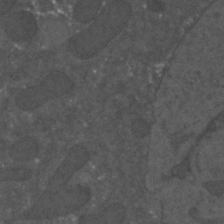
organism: C. elegans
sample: C. elegans embryo